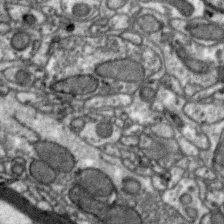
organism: Zebra finch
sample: Brain